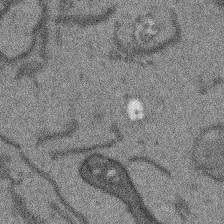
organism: Arabidopsis thaliana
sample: Root tip